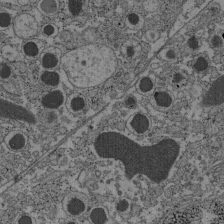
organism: C57BL Mouse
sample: Pancreatic islet